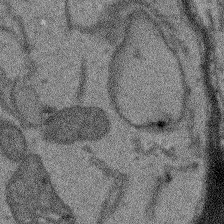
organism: Arabidopsis thaliana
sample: Root tip